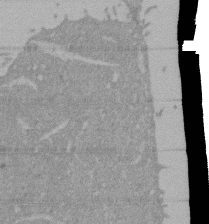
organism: Mouse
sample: ED-1 cell nuclei; centrioles